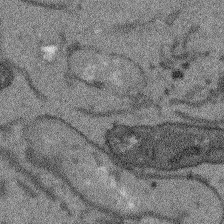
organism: Arabidopsis thaliana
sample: Root tip